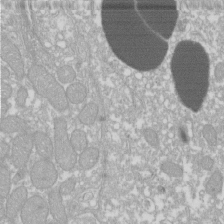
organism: Xenopus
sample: Cilia; centrioles in frog embryo cells